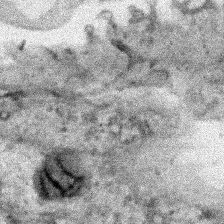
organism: Human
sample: Mitochondria in HCT116 cells